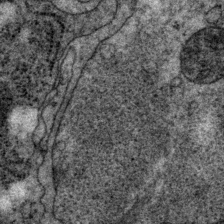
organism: P. pacificus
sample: Pharynx